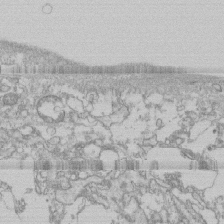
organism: Human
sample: CRL-1474